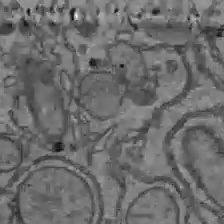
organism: C57BL Mouse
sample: Liver